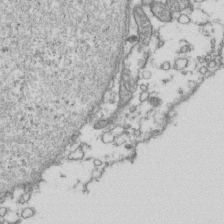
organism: Human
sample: Activated Jurkat CD4+ T cells